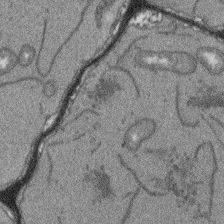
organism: Arabidopsis thaliana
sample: Root tip